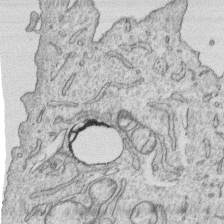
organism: Human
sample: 1205lu cells